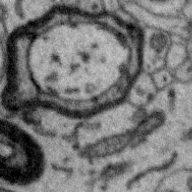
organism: Zebra finch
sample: Brain